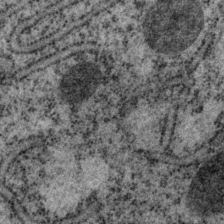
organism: P. pacificus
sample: Pharynx